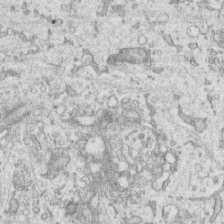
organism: Human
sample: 1205lu cells